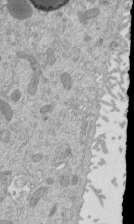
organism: Mouse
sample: ED-1 cell nuclei; centrioles